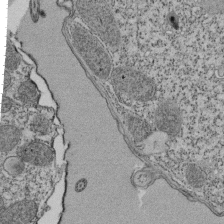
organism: Tetrahymena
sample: Cilia in tetrahymena